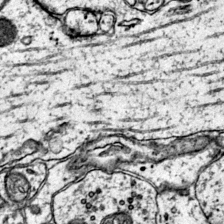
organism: Mouse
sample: Primary visual cortex